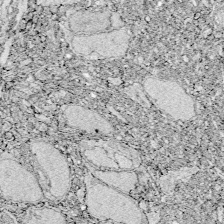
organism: Zebrafish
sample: Whole-Brain